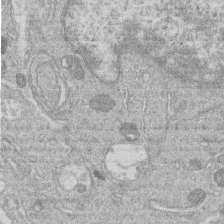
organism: Human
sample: Macrophage cells